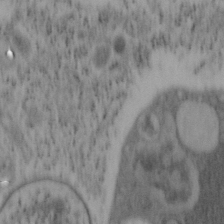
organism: Mouse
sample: OT-I killer T cells with ID8 ovarian cancer cells